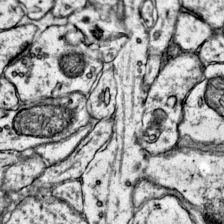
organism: Mouse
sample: Primary visual cortex